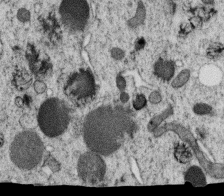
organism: C. elegans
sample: C. elegans oocyte; sperm cells